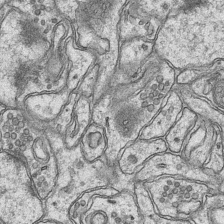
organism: Mouse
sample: CA1 Hippocampus